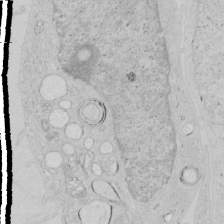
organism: Human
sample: Mitochondria in HCT116 cells